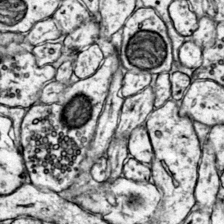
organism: Mouse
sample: Primary visual cortex